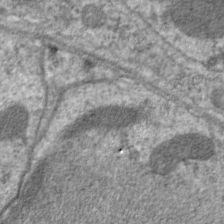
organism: C. elegans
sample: Pharynx